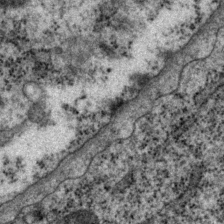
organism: P. pacificus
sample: Pharynx